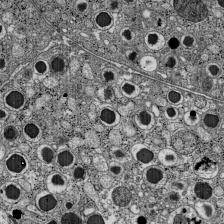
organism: C57BL Mouse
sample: Pancreatic islet